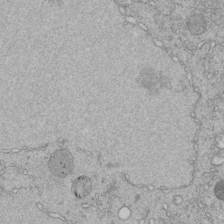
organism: C. elegans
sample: C. elegans embryo early stage